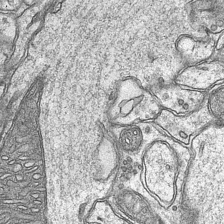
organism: Mouse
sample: CA1 Hippocampus